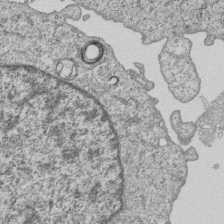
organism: Human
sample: MDA-MB-231 cells